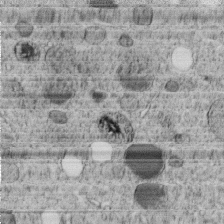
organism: C. elegans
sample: C. elegans embryo early stage